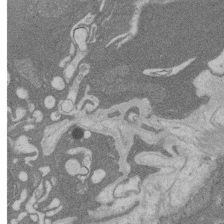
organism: Rat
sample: Salivary granule